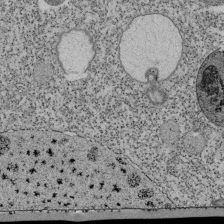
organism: Tetrahymena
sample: Cilia in tetrahymena